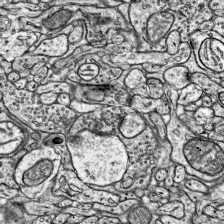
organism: Mouse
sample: Visual Cortex